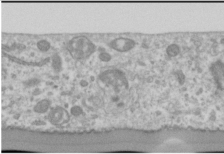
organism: Human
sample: Cilia; basal body in RPE cells